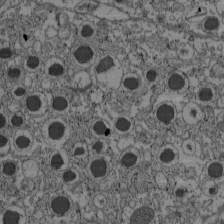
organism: C57BL Mouse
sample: Pancreatic islet